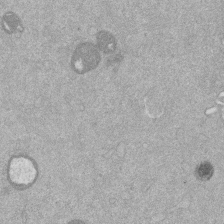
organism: Mouse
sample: Dividing mouse embryo 1 cell stage